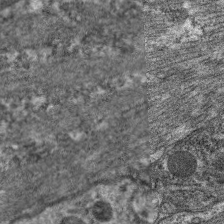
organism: C. elegans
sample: Pharynx